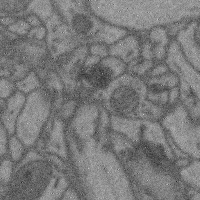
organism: Mouse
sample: Cerebral cortex